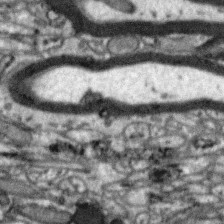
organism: Zebra finch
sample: Brain